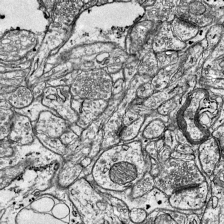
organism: Mouse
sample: Visual Cortex